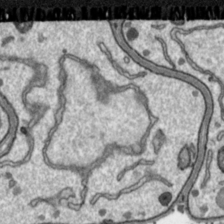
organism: Toxoplasma gondii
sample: Parasites in a vacuole inside a host cell